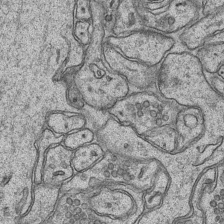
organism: Mouse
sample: CA1 Hippocampus